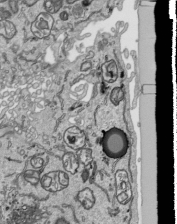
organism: Human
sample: Mitochondria in HCT116 cells